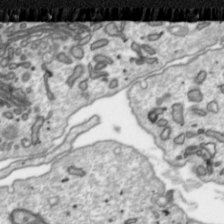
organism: Toxoplasma gondii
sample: Parasites in a vacuole inside a host cell